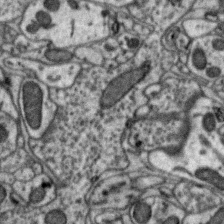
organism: Zebra finch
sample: Brain